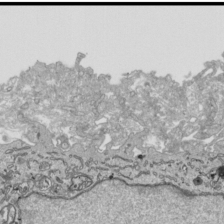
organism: Human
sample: Mitochondria in HCT116 cells